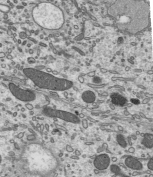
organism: Mouse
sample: Mouse epididymis efferent ductule cilia